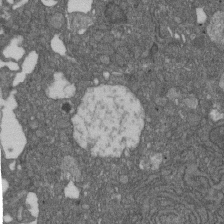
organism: Drosophila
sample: Nephrocyte